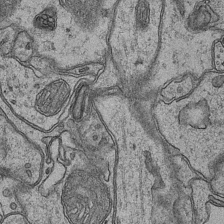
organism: Mouse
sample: CA1 Hippocampus